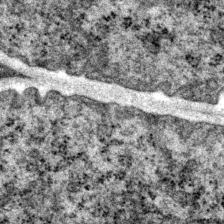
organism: P. pacificus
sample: Pharynx